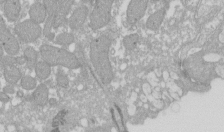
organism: Xenopus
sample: Cilia; centrioles in frog embryo cells